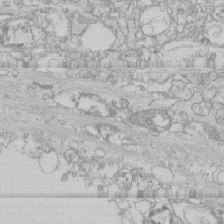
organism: Human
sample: CRL-1474